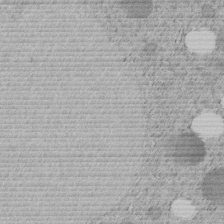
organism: C. elegans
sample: C. elegans embryo early stage